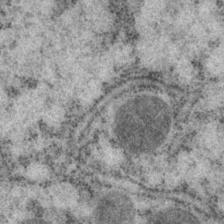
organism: P. pacificus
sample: Pharynx